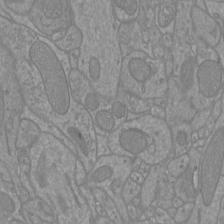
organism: Mouse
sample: Cortical neurons